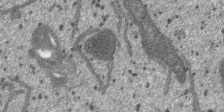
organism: Human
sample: Lung epithelial cells infected with SARS-CoV-2